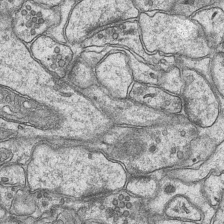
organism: Mouse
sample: CA1 Hippocampus